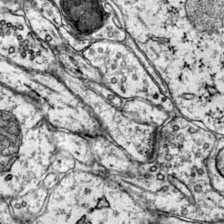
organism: Mouse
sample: Primary visual cortex